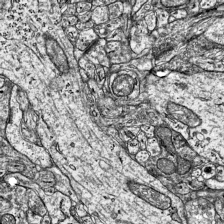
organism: Mouse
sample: Visual Cortex